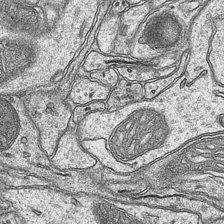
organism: Mouse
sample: CA1 Hippocampus